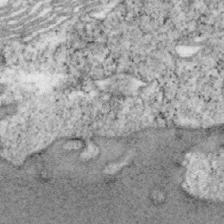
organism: Mouse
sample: OT-I killer T cells with ID8 ovarian cancer cells